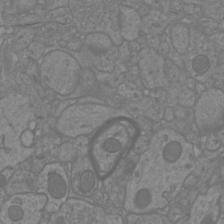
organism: Mouse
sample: Cortical neurons